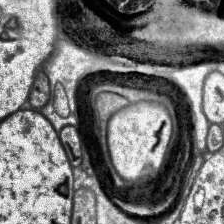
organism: Human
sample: Temporal Lobe